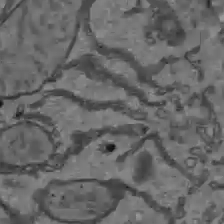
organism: C57BL Mouse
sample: Liver